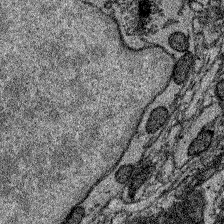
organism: Zebrafish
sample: Larval olfactory bulb